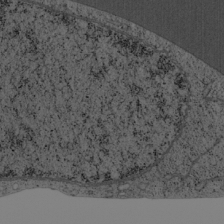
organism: African green monkey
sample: COS-7 cells